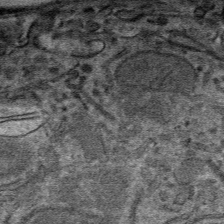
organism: Mouse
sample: Mouse hepatocytes